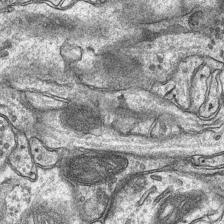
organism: Mouse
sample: CA1 Hippocampus